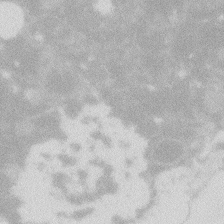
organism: Zebrafish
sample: Macrophage